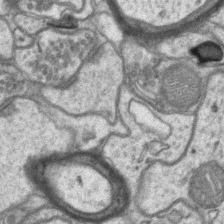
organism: Mouse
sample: CA1 Hippocampus